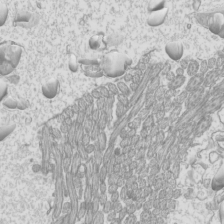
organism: Mouse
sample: Cilia; mouse epididymis